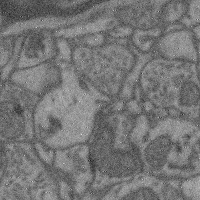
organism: Mouse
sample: Cerebral cortex